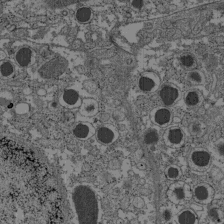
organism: C57BL Mouse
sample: Pancreatic islet